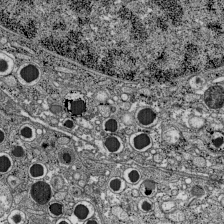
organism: C57BL Mouse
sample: Pancreatic islet